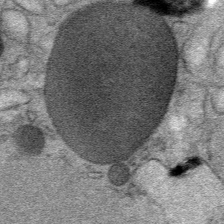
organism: Mouse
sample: Mouse Salivary gland